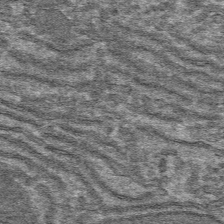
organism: Mouse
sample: Mouse hepatocytes